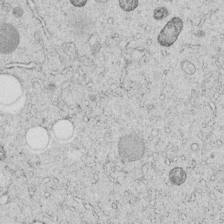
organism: C. elegans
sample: C. elegans embryo early stage